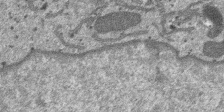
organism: Human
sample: Lung epithelial cells infected with SARS-CoV-2